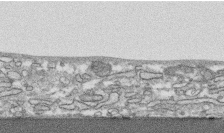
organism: Human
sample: CRL-1474